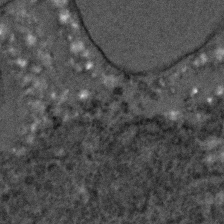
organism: C. elegans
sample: C. elegans embryo